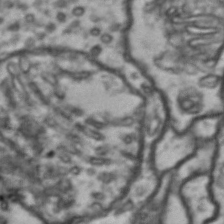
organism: Drosophila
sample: Brain